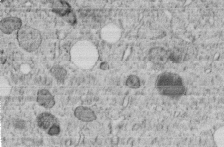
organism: C. elegans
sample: C. elegans embryo early stage